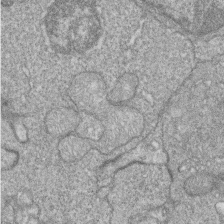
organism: Zebrafish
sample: Cilia; retinal pigment epithelium